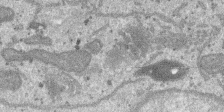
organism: Human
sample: Lung epithelial cells infected with SARS-CoV-2